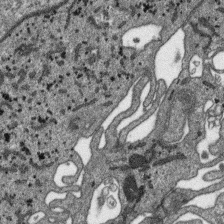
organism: Human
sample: Lung epithelial cells infected with SARS-CoV-2